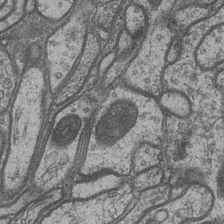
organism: Drosophila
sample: Optic medulla